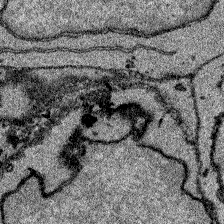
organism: Zebrafish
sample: Larval olfactory bulb